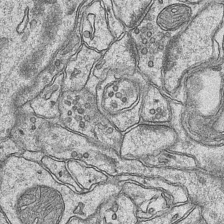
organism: Mouse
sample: CA1 Hippocampus